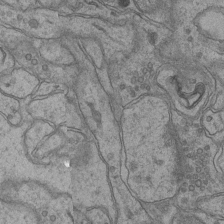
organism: Mouse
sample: CA1 Hippocampus